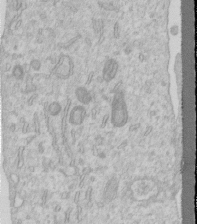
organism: Human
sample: Centriole in RPE cells